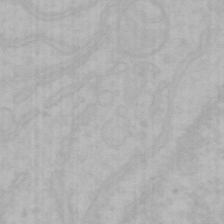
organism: Mouse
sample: Choroid plexus